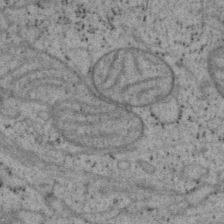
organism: Human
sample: HeLa cells